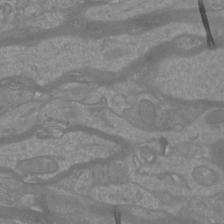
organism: Mouse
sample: Cortical neurons